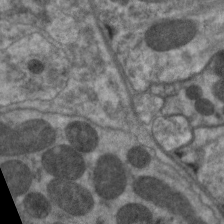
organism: C. elegans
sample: Pharynx